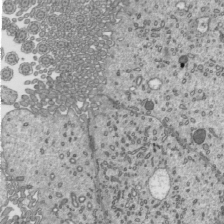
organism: Mouse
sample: Mouse epididymis efferent ductule cilia